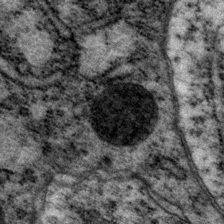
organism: P. pacificus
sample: Pharynx